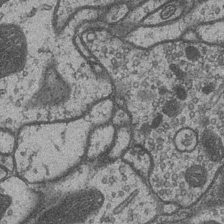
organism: Drosophila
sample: Optic medulla